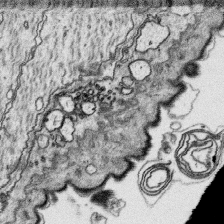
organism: Platynereis dumerilii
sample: Parapodia